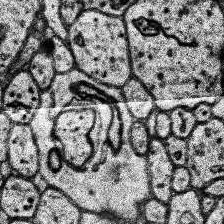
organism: Human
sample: Temporal Lobe